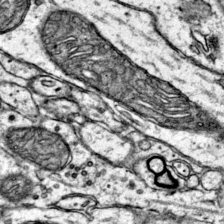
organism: Mouse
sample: Primary visual cortex